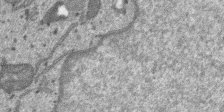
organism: Human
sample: Lung epithelial cells infected with SARS-CoV-2